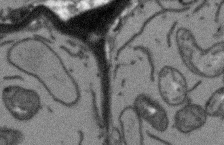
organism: Arabidopsis thaliana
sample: Root tip